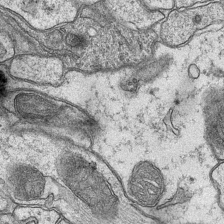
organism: Mouse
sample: CA1 Hippocampus